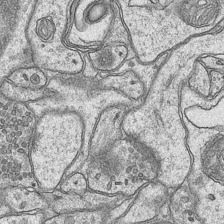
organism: Mouse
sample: CA1 Hippocampus